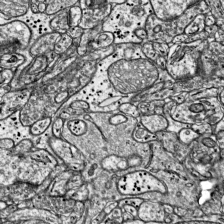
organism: Mouse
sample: Visual Cortex